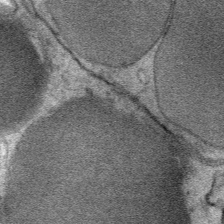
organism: Mouse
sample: Mouse Salivary gland